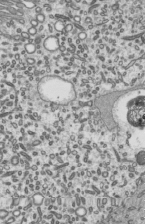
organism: Mouse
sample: Mouse epididymis efferent ductule cilia